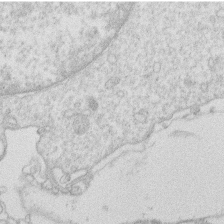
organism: Human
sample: Macrophage cells